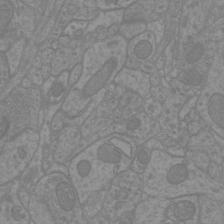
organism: Mouse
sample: Cortical neurons